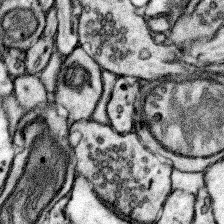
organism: Mouse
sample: Somatosensory cortex neuropil